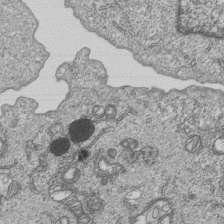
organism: Human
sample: MDA-MB-231 cells